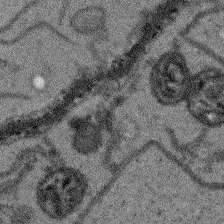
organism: Arabidopsis thaliana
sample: Root tip